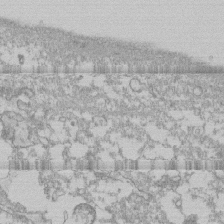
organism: Human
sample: CRL-1474